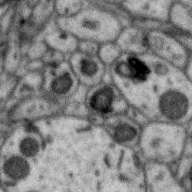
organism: Zebra finch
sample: Brain